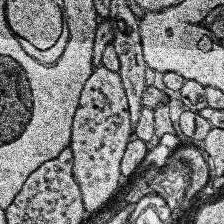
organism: Human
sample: Temporal Lobe